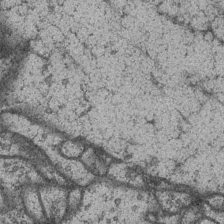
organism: Drosophila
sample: Optic medulla